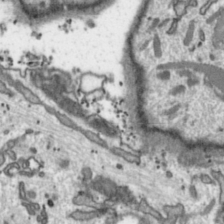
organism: Toxoplasma gondii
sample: Parasites in a vacuole inside a host cell